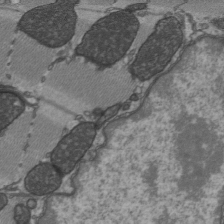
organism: C57BL Mouse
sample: Heart